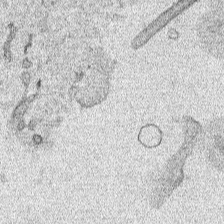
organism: Human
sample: Mitochondria in HCT116 cells